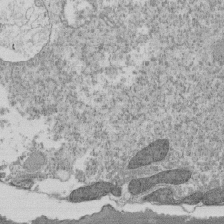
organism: Tetrahymena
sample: Cilia in tetrahymena